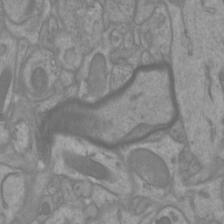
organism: Mouse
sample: Cortical neurons